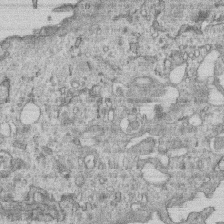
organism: Human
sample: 1205lu cells